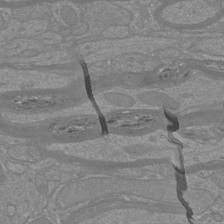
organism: Mouse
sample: Cortical neurons